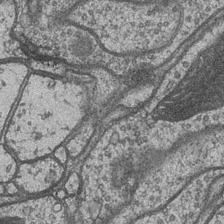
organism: Drosophila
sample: Optic medulla